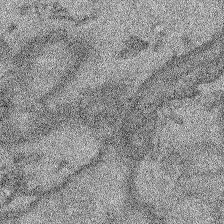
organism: Human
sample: HeLa cells